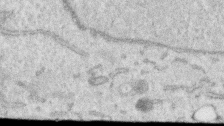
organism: Human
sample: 1205lu cells